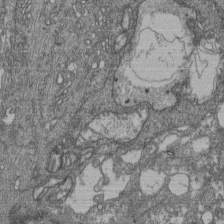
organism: Human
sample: Retinal organoid Rod and Cone cells